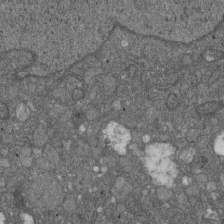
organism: Drosophila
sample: Nephrocyte